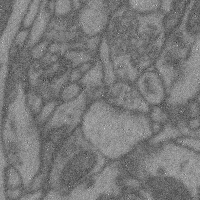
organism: Mouse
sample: Cerebral cortex